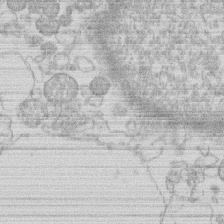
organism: Human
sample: Macrophage cells